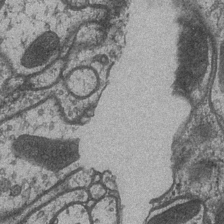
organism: Drosophila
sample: Optic medulla